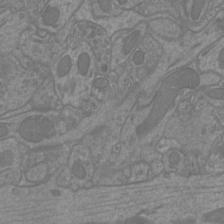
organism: Mouse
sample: Cortical neurons